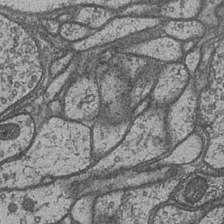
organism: Drosophila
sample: Optic medulla